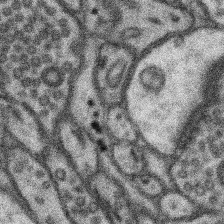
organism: Mouse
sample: Somatosensory cortex neuropil